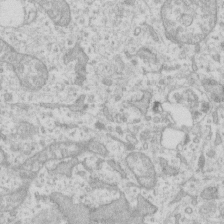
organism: Human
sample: Fibroblast cells